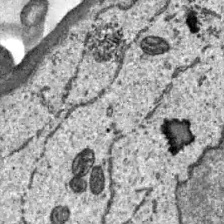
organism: Human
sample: HeLa cells